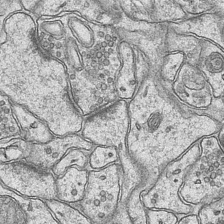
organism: Mouse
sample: CA1 Hippocampus